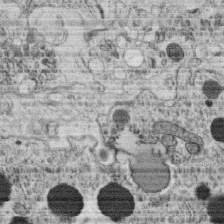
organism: C. elegans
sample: C. elegans oocyte; sperm cells